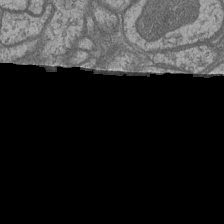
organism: Drosophila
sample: Optic medulla